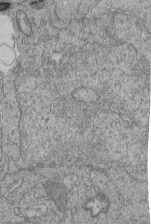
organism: Human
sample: Retinal organoid Rod and Cone cells